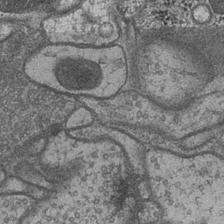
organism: Drosophila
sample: Optic medulla